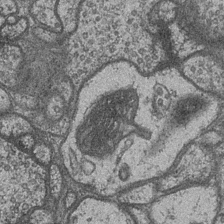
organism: Drosophila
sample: Optic medulla